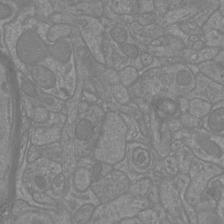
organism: Mouse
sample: Cortical neurons